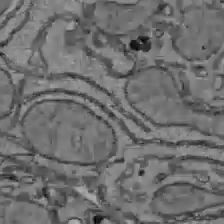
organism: C57BL Mouse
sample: Liver